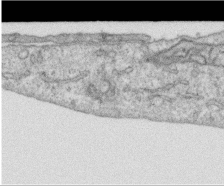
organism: Human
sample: Centriole in RPE cells